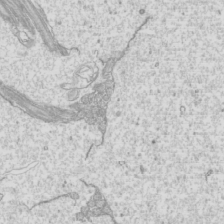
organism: Mouse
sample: Cilia; mouse epididymis